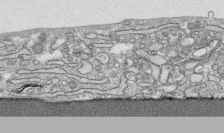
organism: Human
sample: CRL-1474